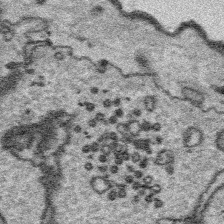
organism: Platynereis dumerilii